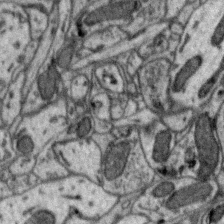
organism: Zebra finch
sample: Brain